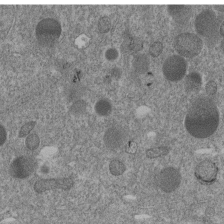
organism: C. elegans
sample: C. elegans embryo early stage